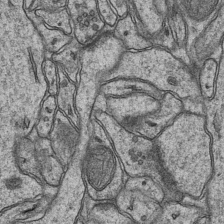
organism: Mouse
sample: CA1 Hippocampus